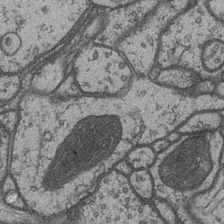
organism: Drosophila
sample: Optic medulla